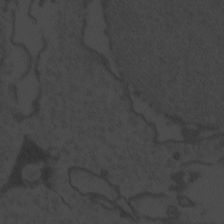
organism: Zebrafish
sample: Macrophage infected with Toxoplasma gondii